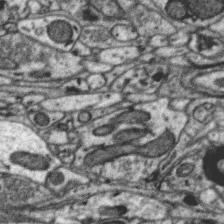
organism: Zebra finch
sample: Brain